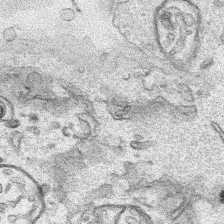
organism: Human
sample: Mitochondria in HCT116 cells